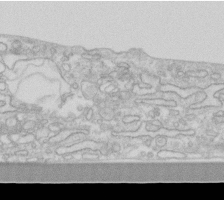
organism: Human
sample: Fibroblast cells